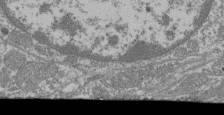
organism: Mouse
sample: Glomerulus